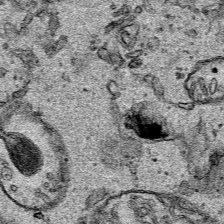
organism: Human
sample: Mitochondria in HCT116 cells